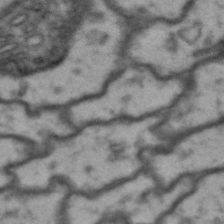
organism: Drosophila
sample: Brain